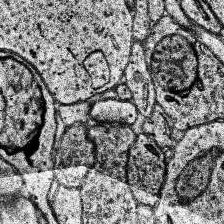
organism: Human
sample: Temporal Lobe